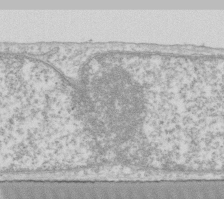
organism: Human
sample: Fibroblast cells